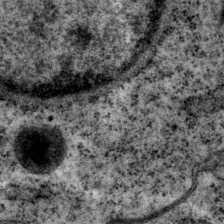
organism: P. pacificus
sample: Pharynx